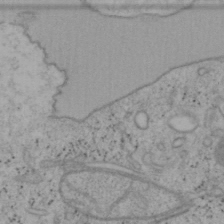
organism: Human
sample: HeLa cells